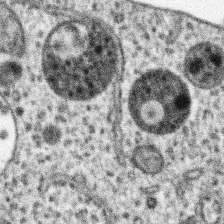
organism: Human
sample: HeLa cells